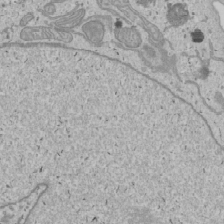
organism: Human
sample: Mitochondria in U2OS cells